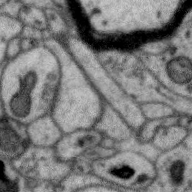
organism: Zebra finch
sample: Brain